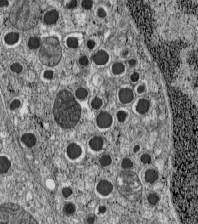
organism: C57BL Mouse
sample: Pancreatic islet